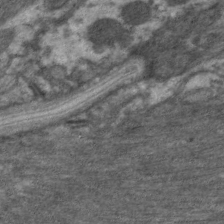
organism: C. elegans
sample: Pharynx